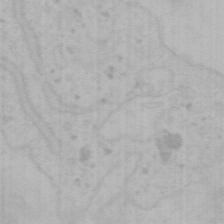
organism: Mouse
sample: Choroid plexus